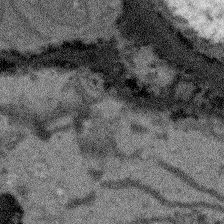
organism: Arabidopsis thaliana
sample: Root tip